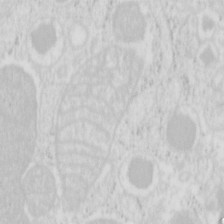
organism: Mouse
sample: Pancreas